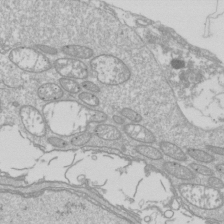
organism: Drosophila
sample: Cell division; meiosis; drosophila spermatocytes